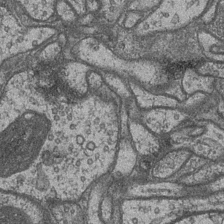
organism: Drosophila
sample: Optic medulla